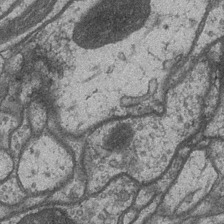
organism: Drosophila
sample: Optic medulla